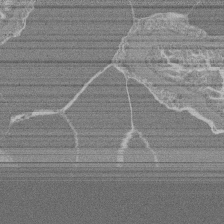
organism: Mouse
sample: Glomerulus